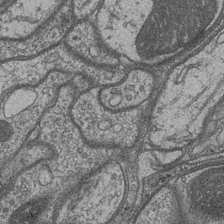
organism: Drosophila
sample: Optic medulla